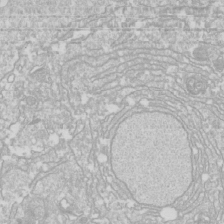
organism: Drosophila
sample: Cell division; meiosis; drosophila spermatocytes